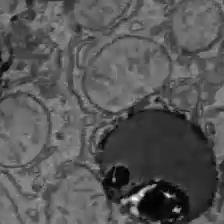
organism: C57BL Mouse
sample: Liver